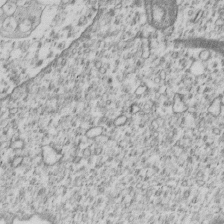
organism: Human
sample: MDA-MB-231 cells